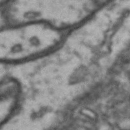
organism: Drosophila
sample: Brain